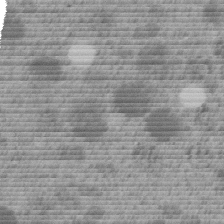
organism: C. elegans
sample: C. elegans embryo early stage